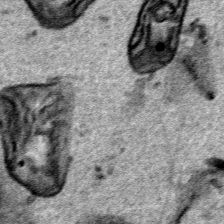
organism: Human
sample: Mitochondria in HCT116 cells